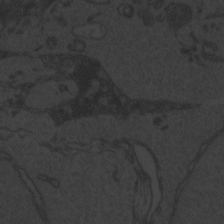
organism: Zebrafish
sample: Macrophage infected with Toxoplasma gondii